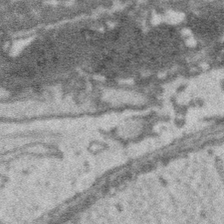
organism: Platynereis dumerilii